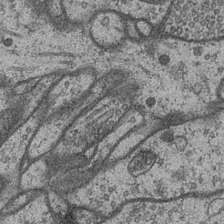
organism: Drosophila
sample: Optic medulla